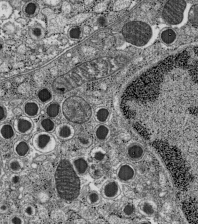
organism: C57BL Mouse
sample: Pancreatic islet